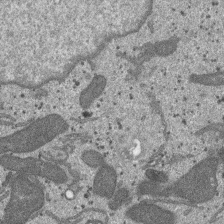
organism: Human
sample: Lung epithelial cells infected with SARS-CoV-2